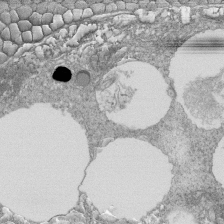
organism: Tetrahymena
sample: Cilia in tetrahymena